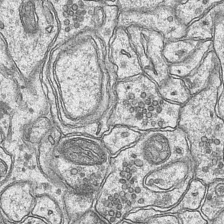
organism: Mouse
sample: CA1 Hippocampus